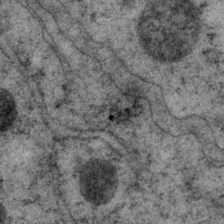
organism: P. pacificus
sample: Pharynx